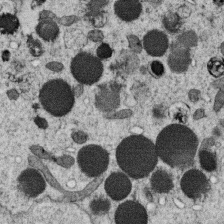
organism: C. elegans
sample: C. elegans oocyte; sperm cells